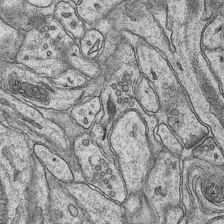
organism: Mouse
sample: CA1 Hippocampus